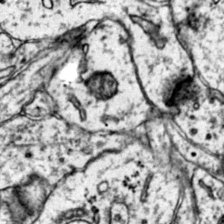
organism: Mouse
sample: Primary visual cortex